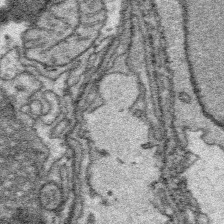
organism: Platynereis dumerilii